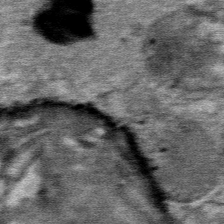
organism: Mouse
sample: Mouse Salivary gland